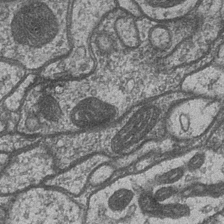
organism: Drosophila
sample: Optic medulla